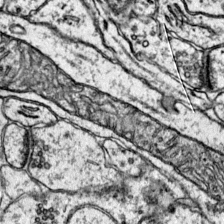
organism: Mouse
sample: Primary visual cortex